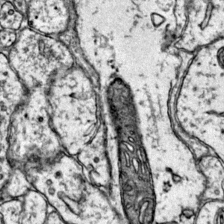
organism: Mouse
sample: Primary visual cortex